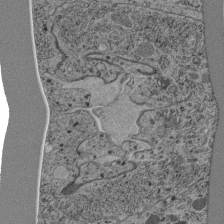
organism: C. elegans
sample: C. elegans pharynx